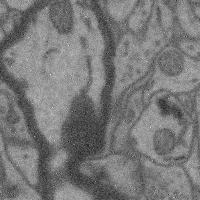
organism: Mouse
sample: Cerebral cortex